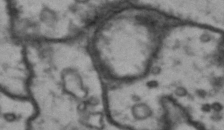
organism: Drosophila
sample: Brain